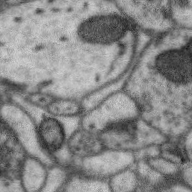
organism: Zebra finch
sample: Brain